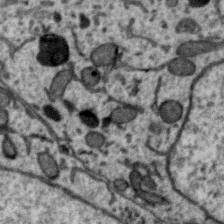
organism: Zebra finch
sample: Brain